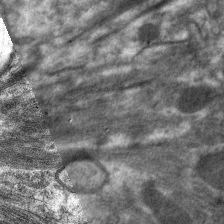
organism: C. elegans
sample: Pharynx